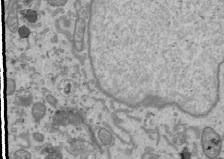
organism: Human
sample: Mitochondria in U2OS cells